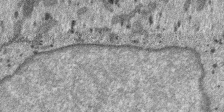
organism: Human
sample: Lung epithelial cells infected with SARS-CoV-2